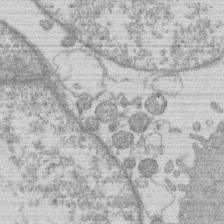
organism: Human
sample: Macrophage cells